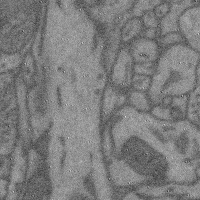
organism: Mouse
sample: Cerebral cortex